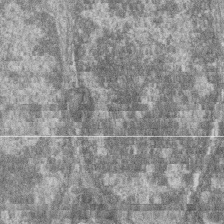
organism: Zebrafish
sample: Cilia; retinal pigment epithelium